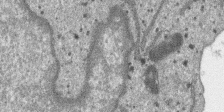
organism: Human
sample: Lung epithelial cells infected with SARS-CoV-2